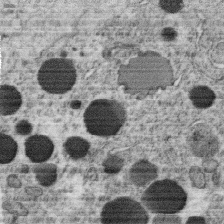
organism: C. elegans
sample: C. elegans oocyte; sperm cells